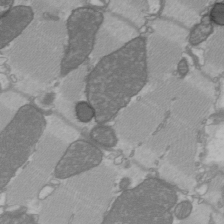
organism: C57BL Mouse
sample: Heart